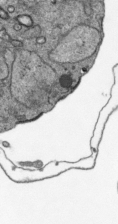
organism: Plasmodium falciparum